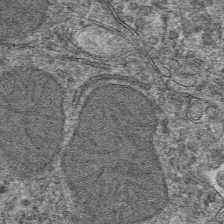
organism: Mouse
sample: Mouse hepatocytes